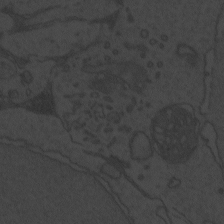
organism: Zebrafish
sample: Macrophage infected with Toxoplasma gondii